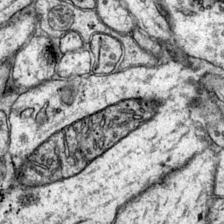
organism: Mouse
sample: Primary visual cortex